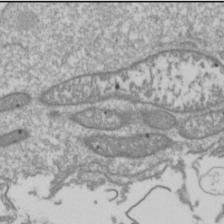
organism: Drosophila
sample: Cell division; meiosis; drosophila spermatocytes